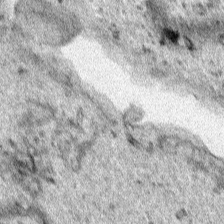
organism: Human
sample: Mitochondria in HCT116 cells